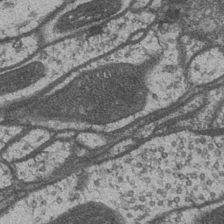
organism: Drosophila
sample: Optic medulla